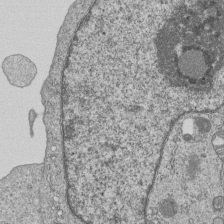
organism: Human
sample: MDA-MB-231 cells